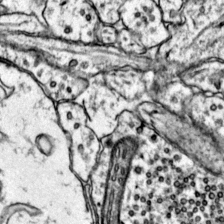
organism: Mouse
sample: Primary visual cortex